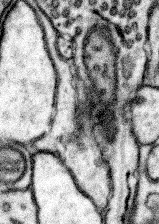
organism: Mouse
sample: Somatosensory cortex neuropil